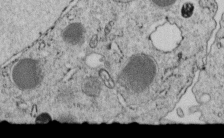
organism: C. elegans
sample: C. elegans embryo early stage